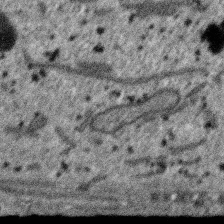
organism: Human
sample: Lung epithelial cells infected with SARS-CoV-2